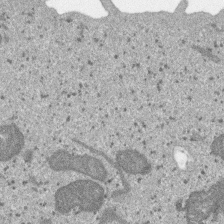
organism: Human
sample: Lung epithelial cells infected with SARS-CoV-2